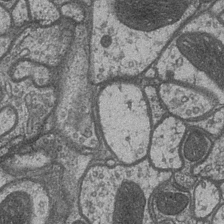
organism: Drosophila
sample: Optic medulla